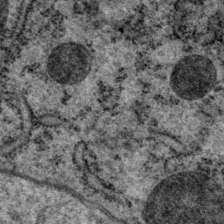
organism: P. pacificus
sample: Pharynx